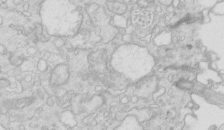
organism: Mouse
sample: Multiciliated cells